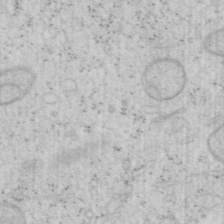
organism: Human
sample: HeLa cells